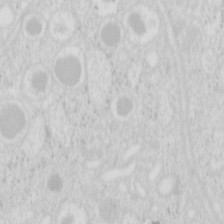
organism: Mouse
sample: Pancreas